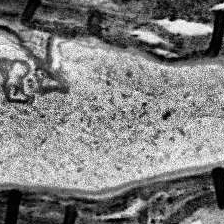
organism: Human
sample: Temporal Lobe